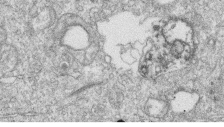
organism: Human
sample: HeLa cell HIV synapse